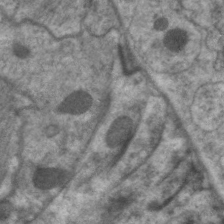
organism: C. elegans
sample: Pharynx